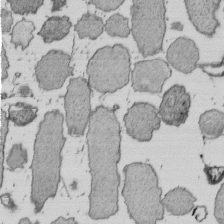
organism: E. coli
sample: Bacterial nucleoid